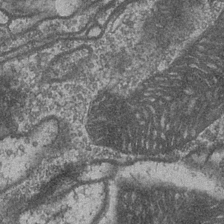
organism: Drosophila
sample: Optic medulla